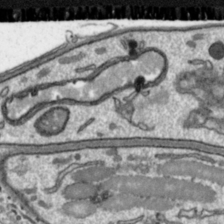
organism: Toxoplasma gondii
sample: Parasites in a vacuole inside a host cell